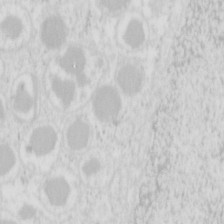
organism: Mouse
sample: Pancreas